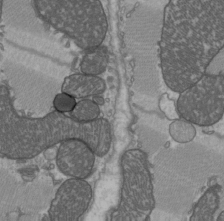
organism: C57BL Mouse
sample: Heart